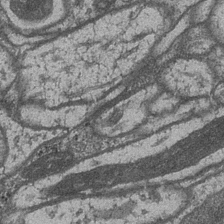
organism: Drosophila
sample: Optic medulla